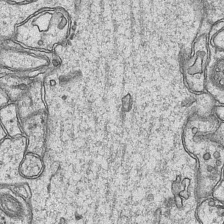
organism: Mouse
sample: CA1 Hippocampus